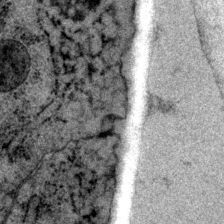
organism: P. pacificus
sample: Pharynx